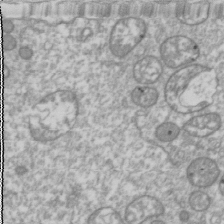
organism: Drosophila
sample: Cell division; meiosis; drosophila spermatocytes